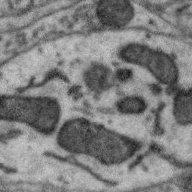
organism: Zebra finch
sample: Brain